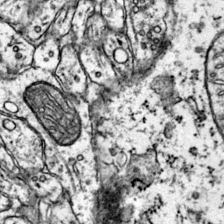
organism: Mouse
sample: Primary visual cortex